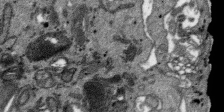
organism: Human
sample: Lung epithelial cells, uninfected (mock) control